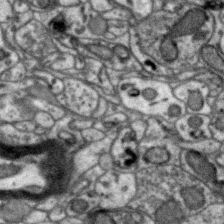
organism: Zebra finch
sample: Brain